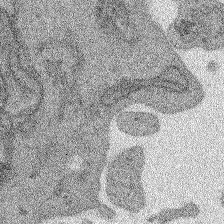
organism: Human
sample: HeLa cells